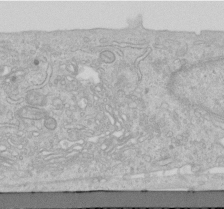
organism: Human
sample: Centriole in RPE cells